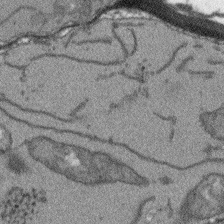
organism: Arabidopsis thaliana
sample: Root tip